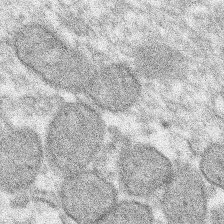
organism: Xenopus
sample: Cilia; centrioles in frog embryo cells